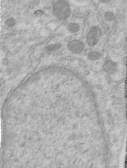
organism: Human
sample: Centriole in RPE cells